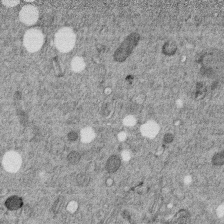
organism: C. elegans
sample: C. elegans embryo early stage